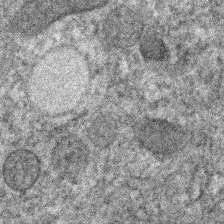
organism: C. elegans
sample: C. elegans embryo